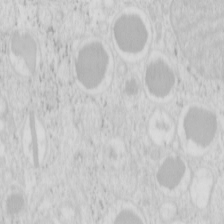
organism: Mouse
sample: Pancreas